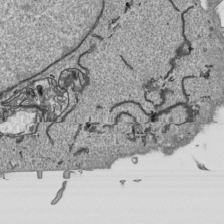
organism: Human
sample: Mitochondria in HCT116 cells